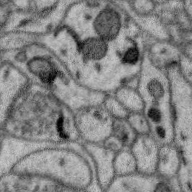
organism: Zebra finch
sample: Brain